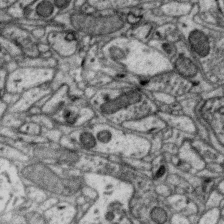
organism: Zebra finch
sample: Brain